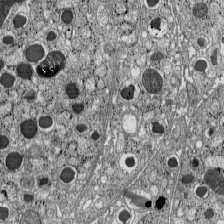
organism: C57BL Mouse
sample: Pancreatic islet